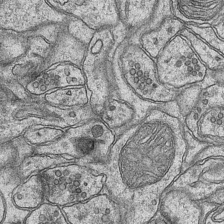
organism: Mouse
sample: CA1 Hippocampus